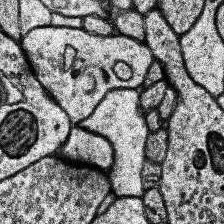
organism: Human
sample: Temporal Lobe